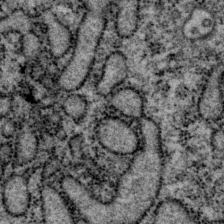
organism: P. pacificus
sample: Pharynx